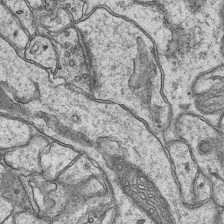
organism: Mouse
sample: CA1 Hippocampus